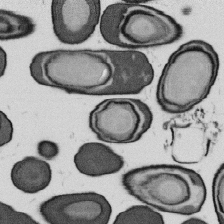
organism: B. subtilis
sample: Bacterial spore